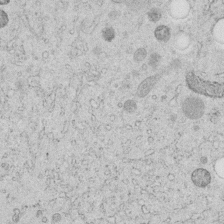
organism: C. elegans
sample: C. elegans embryo early stage